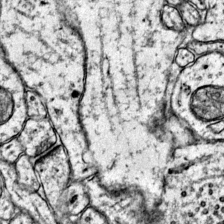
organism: Mouse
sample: Primary visual cortex